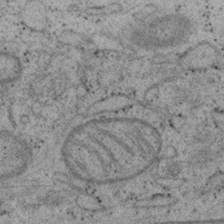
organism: Human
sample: HeLa cells